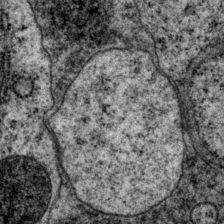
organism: P. pacificus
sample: Pharynx